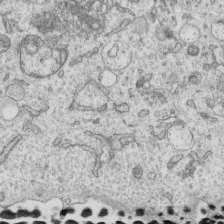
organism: Human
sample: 1205lu cells